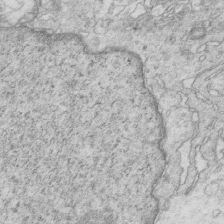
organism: Mouse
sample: Multiciliated cells